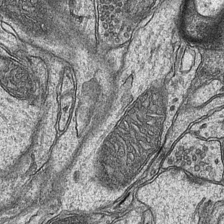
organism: Mouse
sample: CA1 Hippocampus